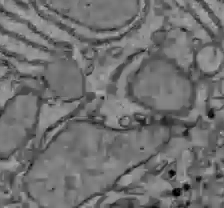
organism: C57BL Mouse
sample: Liver